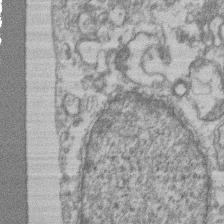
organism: Mouse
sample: T cell stromal cell synapse